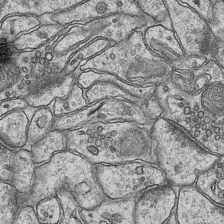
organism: Mouse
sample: CA1 Hippocampus